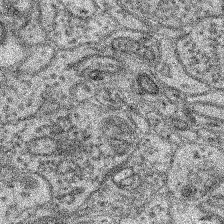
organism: Mouse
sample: Retina